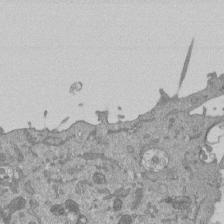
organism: Mouse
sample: ED-1 cell nuclei; centrioles